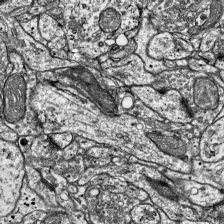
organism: Mouse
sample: Visual Cortex